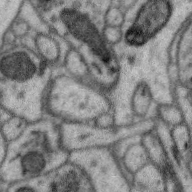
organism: Zebra finch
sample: Brain